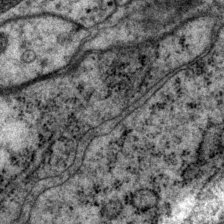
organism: P. pacificus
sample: Pharynx